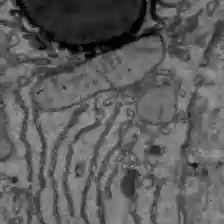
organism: C57BL Mouse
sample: Liver